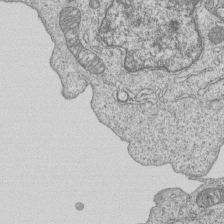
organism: Human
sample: MDA-MB-231 cells